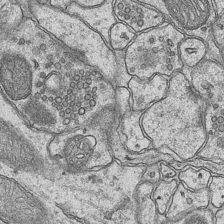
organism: Mouse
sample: CA1 Hippocampus